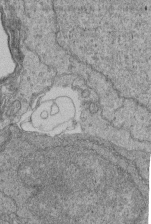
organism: Human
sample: Retinal organoid Rod and Cone cells